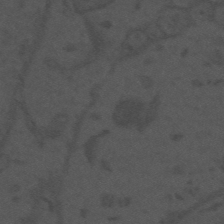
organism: Mouse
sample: Suprachiasmatic nucleus